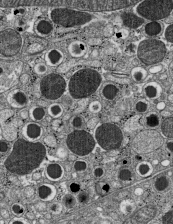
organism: C57BL Mouse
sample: Pancreatic islet